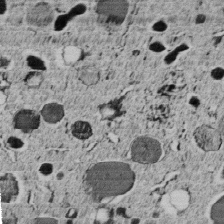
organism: C. elegans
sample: C. elegans embryo early stage